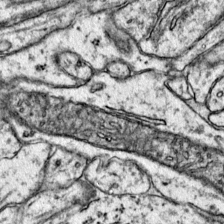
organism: Mouse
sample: Primary visual cortex